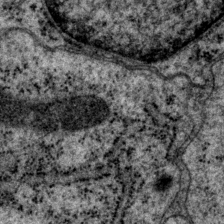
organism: P. pacificus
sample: Pharynx